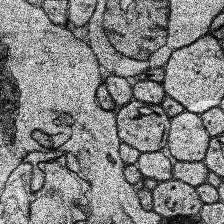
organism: Human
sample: Temporal Lobe